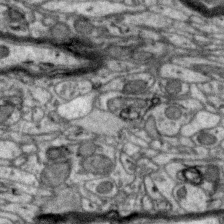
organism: Zebra finch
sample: Brain